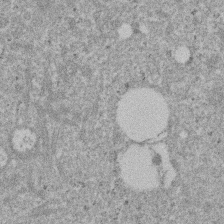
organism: Mouse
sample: Dividing mouse embryo 1 cell stage